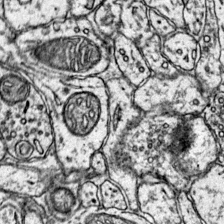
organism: Mouse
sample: Primary visual cortex